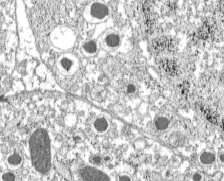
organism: C57BL Mouse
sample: Pancreatic islet